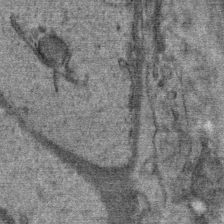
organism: Mouse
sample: Mouse Salivary gland